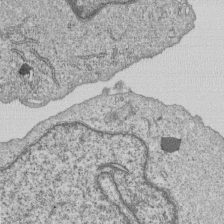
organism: Human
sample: MDA-MB-231 cells